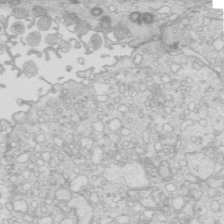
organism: Mouse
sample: Multiciliated cells